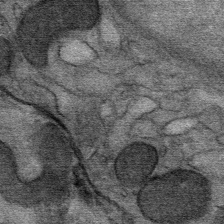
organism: Mouse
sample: Mouse Salivary gland